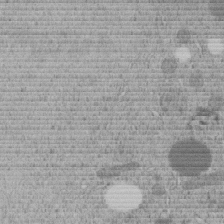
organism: C. elegans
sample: C. elegans embryo early stage